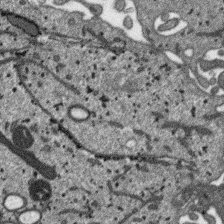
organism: Human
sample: Lung epithelial cells infected with SARS-CoV-2